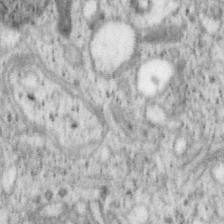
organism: Mouse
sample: OT-I killer T cells with ID8 ovarian cancer cells